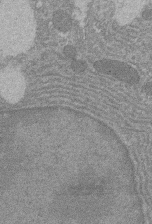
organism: Rat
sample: Salivary granule